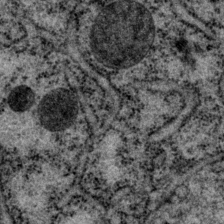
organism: P. pacificus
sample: Pharynx